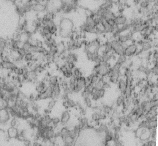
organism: Mouse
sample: Cilia; retinal pigment epithelium